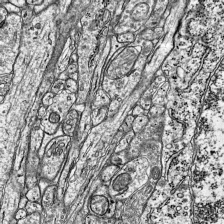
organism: Mouse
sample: Visual Cortex